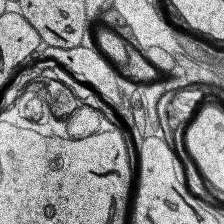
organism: Human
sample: Temporal Lobe